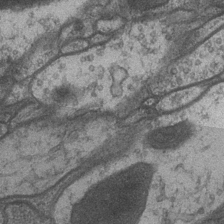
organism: Drosophila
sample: Optic medulla